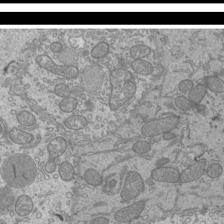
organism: Mouse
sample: Cilia; mouse epididymis